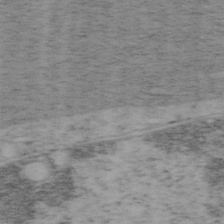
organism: Mouse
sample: OT-I killer T cells with ID8 ovarian cancer cells